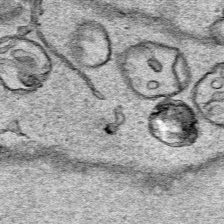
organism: Human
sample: Mitochondria in HCT116 cells